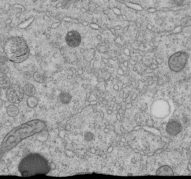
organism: C. elegans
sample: C. elegans embryo early stage